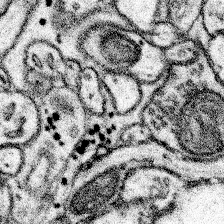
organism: Mouse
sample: Somatosensory cortex neuropil